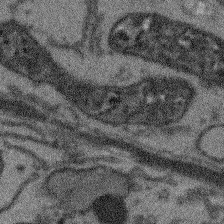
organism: Arabidopsis thaliana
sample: Root tip